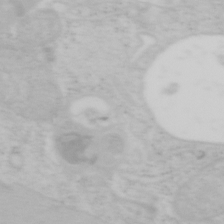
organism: Mouse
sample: OT-I killer T cells with ID8 ovarian cancer cells